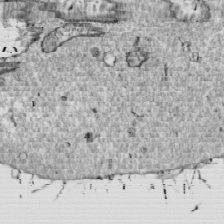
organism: Drosophila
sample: Cell division; meiosis; drosophila spermatocytes